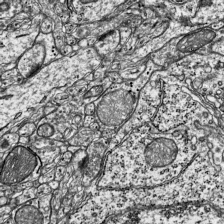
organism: Mouse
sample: Visual Cortex